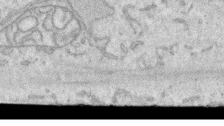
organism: Human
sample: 1205lu cells